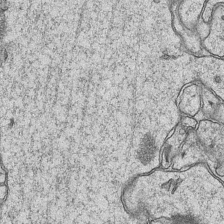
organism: Mouse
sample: CA1 Hippocampus